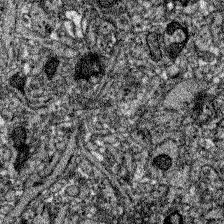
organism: Zebrafish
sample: Larval olfactory bulb